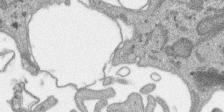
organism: Human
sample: Lung epithelial cells infected with SARS-CoV-2